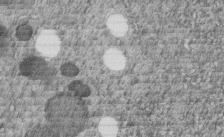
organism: C. elegans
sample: C. elegans embryo early stage